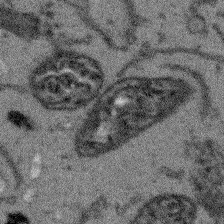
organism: Arabidopsis thaliana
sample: Root tip